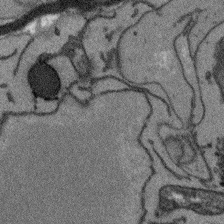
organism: Arabidopsis thaliana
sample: Root tip